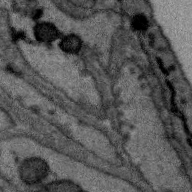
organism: Zebra finch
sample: Brain